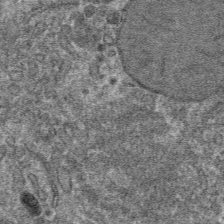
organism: Mouse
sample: Mouse hepatocytes